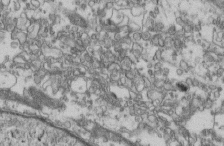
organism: Mouse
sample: Cilia; retinal pigment epithelium